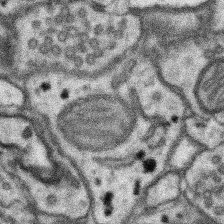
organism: Mouse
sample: Somatosensory cortex neuropil